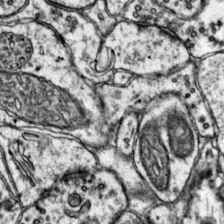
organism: Mouse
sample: Primary visual cortex